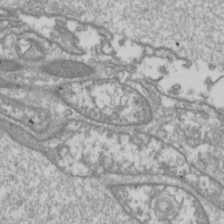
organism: Drosophila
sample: Cell division; meiosis; drosophila spermatocytes